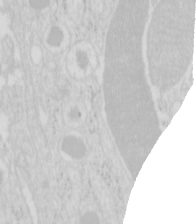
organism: Mouse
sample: Pancreas